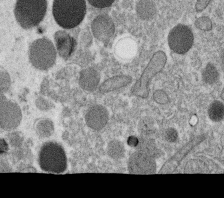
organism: C. elegans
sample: C. elegans oocyte; sperm cells